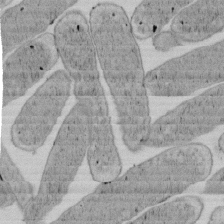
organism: E. coli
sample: Bacterial nucleoid